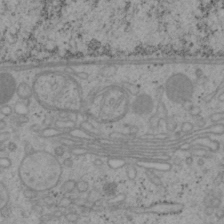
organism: Human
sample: HeLa cells